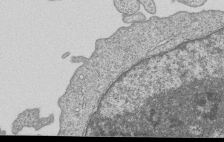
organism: Human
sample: MDA-MB-231 cells